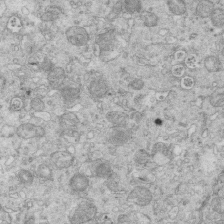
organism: Mouse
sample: Multiciliated cells